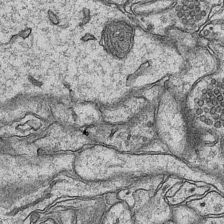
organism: Mouse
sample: CA1 Hippocampus